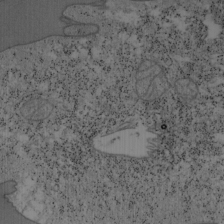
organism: Mouse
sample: OT-I killer T cells with ID8 ovarian cancer cells